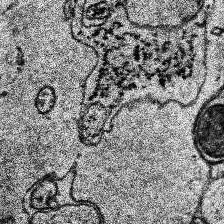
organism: Human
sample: Temporal Lobe